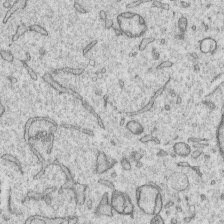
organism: Human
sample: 1205lu cells